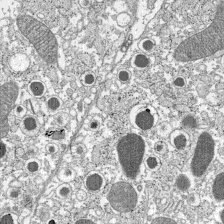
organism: C57BL Mouse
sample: Pancreatic islet